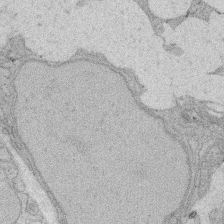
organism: Rat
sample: Salivary granule